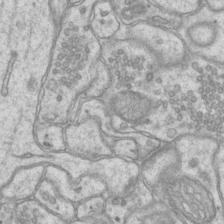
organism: Mouse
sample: CA1 Hippocampus